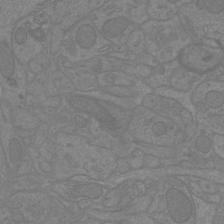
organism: Mouse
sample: Cortical neurons